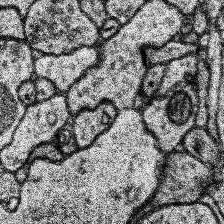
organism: Human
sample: Temporal Lobe